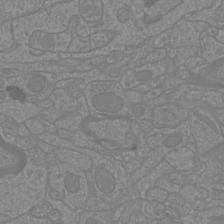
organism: Mouse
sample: Cortical neurons